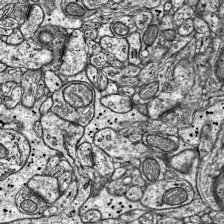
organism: Mouse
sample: Visual Cortex